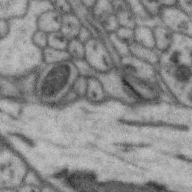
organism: Zebra finch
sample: Brain